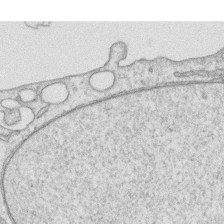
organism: Human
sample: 1205lu cells